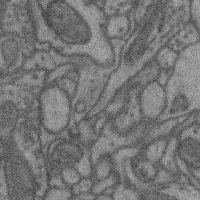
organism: Mouse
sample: Cerebral cortex